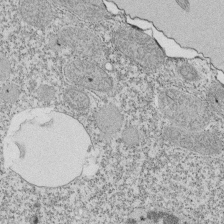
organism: Tetrahymena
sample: Cilia in tetrahymena